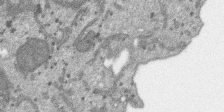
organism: Human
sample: Lung epithelial cells infected with SARS-CoV-2